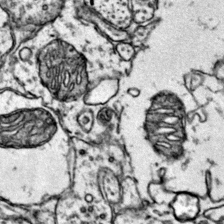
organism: Mouse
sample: Primary visual cortex